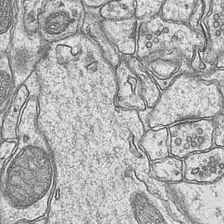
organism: Mouse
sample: CA1 Hippocampus